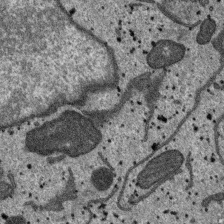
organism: Human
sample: Lung epithelial cells, uninfected (mock) control